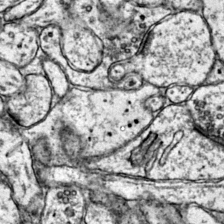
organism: Mouse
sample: Primary visual cortex